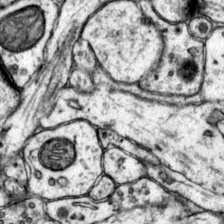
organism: Mouse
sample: Primary visual cortex